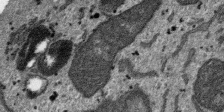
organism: Human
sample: Lung epithelial cells, uninfected (mock) control